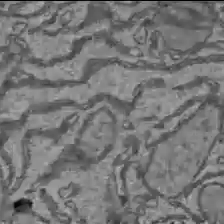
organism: C57BL Mouse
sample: Liver